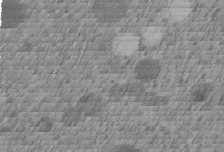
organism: C. elegans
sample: C. elegans embryo early stage